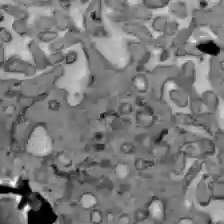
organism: C57BL Mouse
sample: Liver